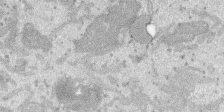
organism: Human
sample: Lung epithelial cells infected with SARS-CoV-2